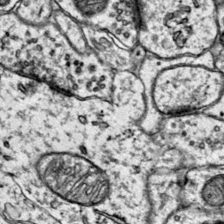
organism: Mouse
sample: Primary visual cortex